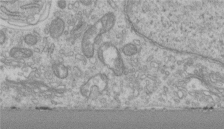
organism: Human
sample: Centriole in RPE cells